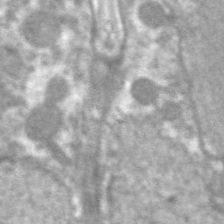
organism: C. elegans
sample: Pharynx